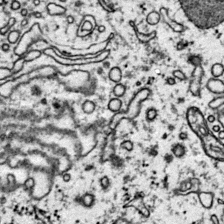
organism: Mouse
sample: Primary visual cortex